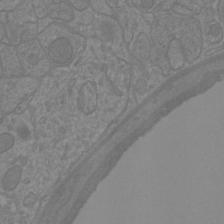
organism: Mouse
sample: Cortical neurons